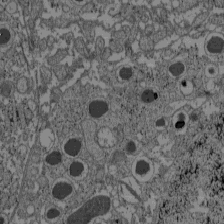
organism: C57BL Mouse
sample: Pancreatic islet